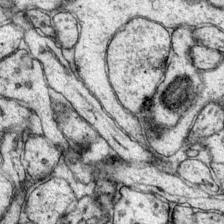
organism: Mouse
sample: Primary visual cortex